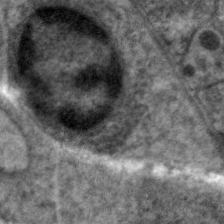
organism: C. elegans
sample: Pharynx